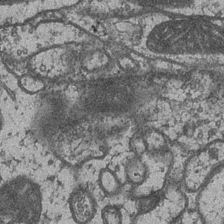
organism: Drosophila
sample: Optic medulla